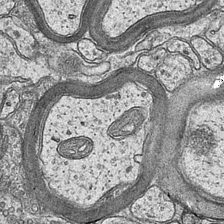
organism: Mouse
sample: CA1 Hippocampus